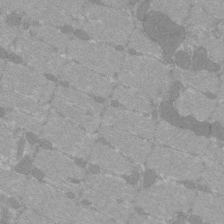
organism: C57BL Mouse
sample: Tibialis anterior muscle cell